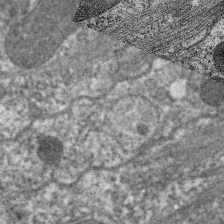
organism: C. elegans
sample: Pharynx